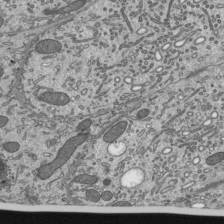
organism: Mouse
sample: Mouse epididymis efferent ductule cilia